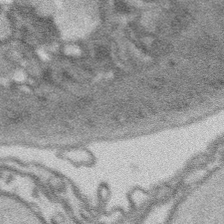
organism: Platynereis dumerilii